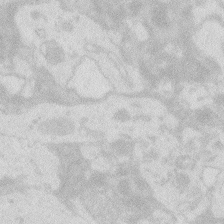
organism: Zebrafish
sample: Macrophage